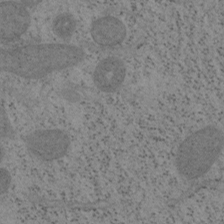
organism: Mouse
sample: OT-I killer T cells with ID8 ovarian cancer cells